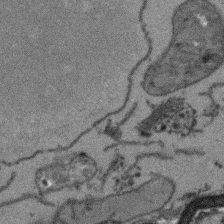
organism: Arabidopsis thaliana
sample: Root tip